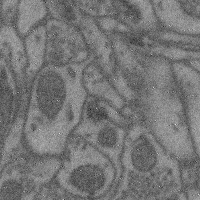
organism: Mouse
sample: Cerebral cortex